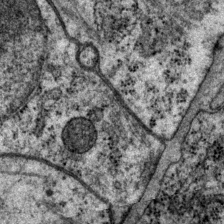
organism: P. pacificus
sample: Pharynx